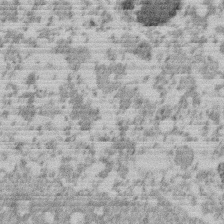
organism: Mouse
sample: Dividing mouse embryo 1 cell stage